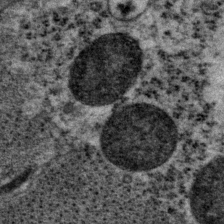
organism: P. pacificus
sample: Pharynx